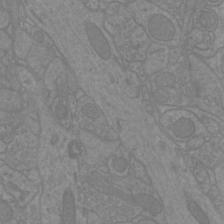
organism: Mouse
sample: Cortical neurons